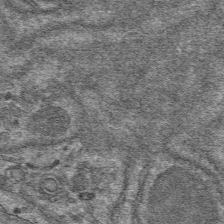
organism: Mouse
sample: Mouse hepatocytes